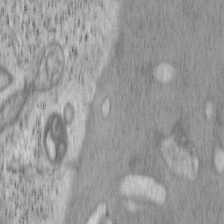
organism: Human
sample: HeLa cells